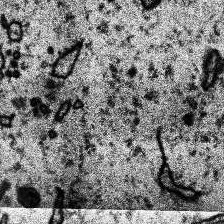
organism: Human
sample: Temporal Lobe